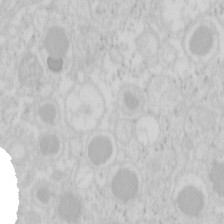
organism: Mouse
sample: Pancreas